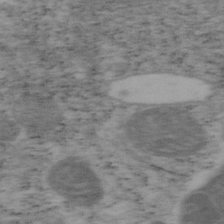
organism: Mouse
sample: OT-I killer T cells with ID8 ovarian cancer cells